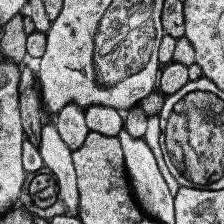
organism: Human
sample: Temporal Lobe